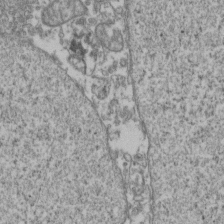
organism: Human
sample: Activated Jurkat CD4+ T cells